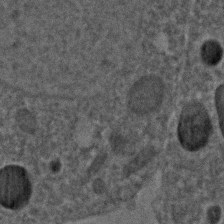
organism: C. elegans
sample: C. elegans embryo